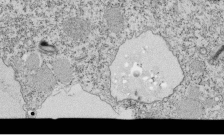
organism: Tetrahymena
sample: Cilia in tetrahymena